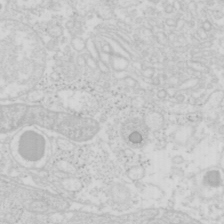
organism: Mouse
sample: Pancreas